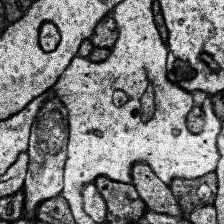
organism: Human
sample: Temporal Lobe